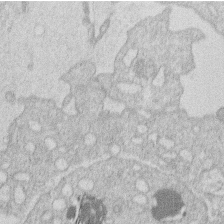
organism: Human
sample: Macrophage cells